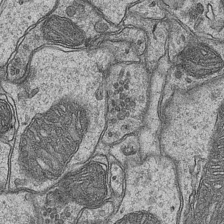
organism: Mouse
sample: CA1 Hippocampus